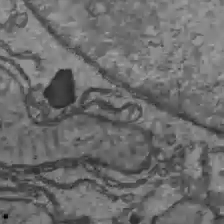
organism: C57BL Mouse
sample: Liver